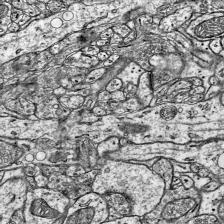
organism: Mouse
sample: Visual Cortex